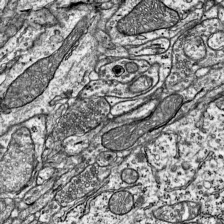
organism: Mouse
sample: Visual Cortex